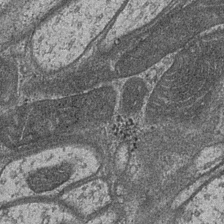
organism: Drosophila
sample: Optic medulla